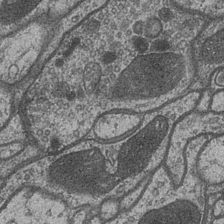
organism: Drosophila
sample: Optic medulla